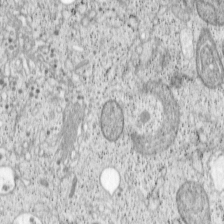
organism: African green monkey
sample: COS-7 cells